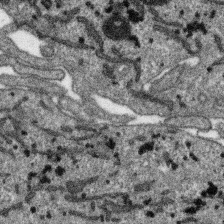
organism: Human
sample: Lung epithelial cells infected with SARS-CoV-2